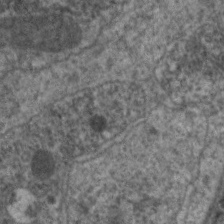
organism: C. elegans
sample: Pharynx